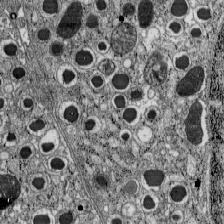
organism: C57BL Mouse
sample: Pancreatic islet